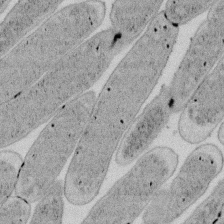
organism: E. coli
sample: Bacterial nucleoid